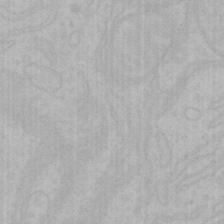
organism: Mouse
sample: Choroid plexus